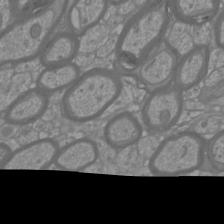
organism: Mouse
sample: Cortical neurons